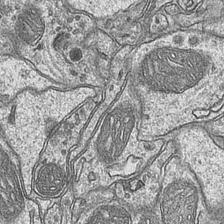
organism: Mouse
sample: CA1 Hippocampus